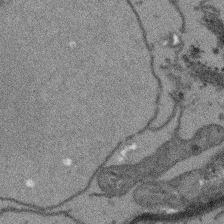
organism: Arabidopsis thaliana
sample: Root tip